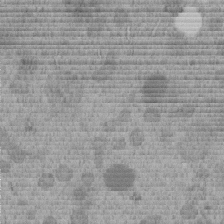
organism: C. elegans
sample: C. elegans embryo early stage